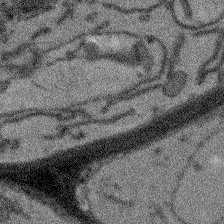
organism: Arabidopsis thaliana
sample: Root tip